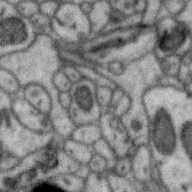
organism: Zebra finch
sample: Brain